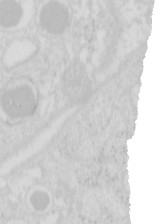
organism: Mouse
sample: Pancreas